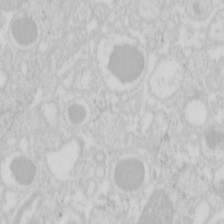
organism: Mouse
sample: Pancreas